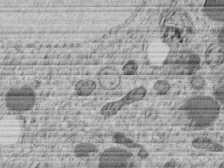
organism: C. elegans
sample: C. elegans embryo early stage